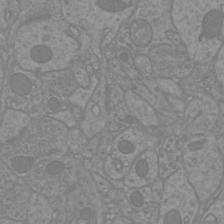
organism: Mouse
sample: Cortical neurons